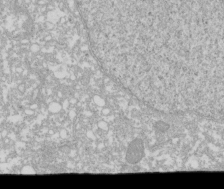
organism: Xenopus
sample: Cilia; centrioles in frog embryo cells